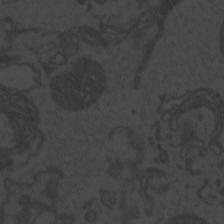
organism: Zebrafish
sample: Macrophage infected with Toxoplasma gondii